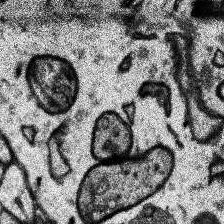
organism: Human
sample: Temporal Lobe